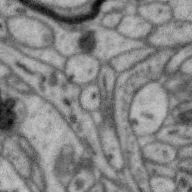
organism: Zebra finch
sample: Brain